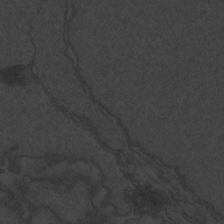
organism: Zebrafish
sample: Macrophage infected with Toxoplasma gondii